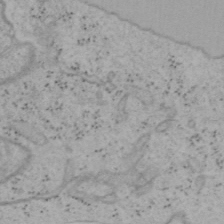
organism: Human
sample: HeLa cells